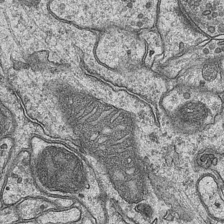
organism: Mouse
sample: CA1 Hippocampus